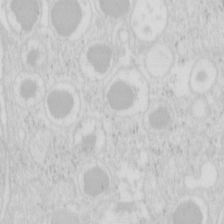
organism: Mouse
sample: Pancreas